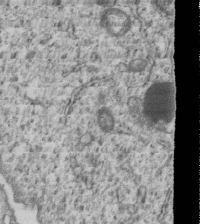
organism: Human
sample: MDA-MB-231 cells